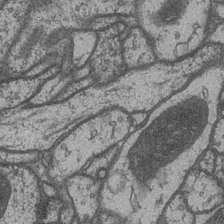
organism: Drosophila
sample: Optic medulla